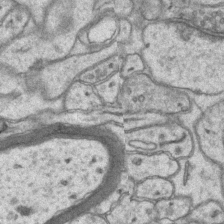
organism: Mouse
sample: CA1 Hippocampus